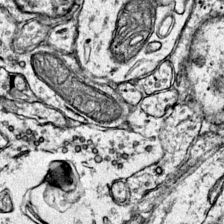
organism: Mouse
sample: Primary visual cortex